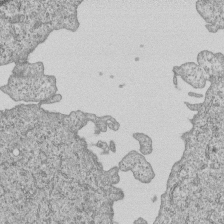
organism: Human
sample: MDA-MB-231 cells